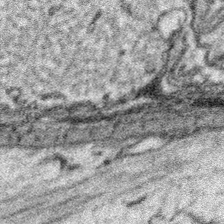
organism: Platynereis dumerilii